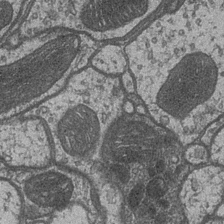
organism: Drosophila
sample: Optic medulla